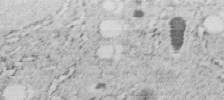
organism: C. elegans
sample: C. elegans embryo early stage